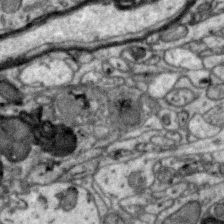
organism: Zebra finch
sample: Brain